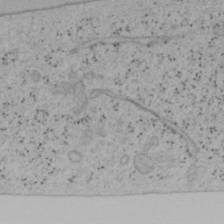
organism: Human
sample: HeLa cells